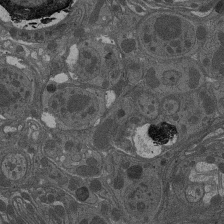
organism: Drosophila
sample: Antenna